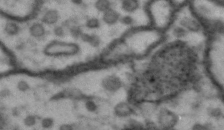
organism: Drosophila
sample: Brain